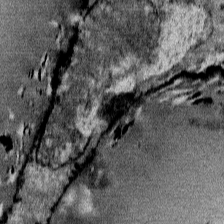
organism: Mouse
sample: Mouse Salivary gland